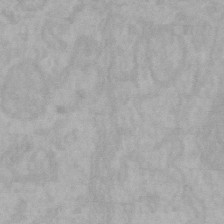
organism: Mouse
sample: Choroid plexus